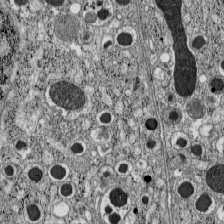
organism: C57BL Mouse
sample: Pancreatic islet